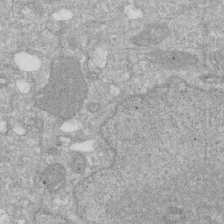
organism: Human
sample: HIV infected U937 cells